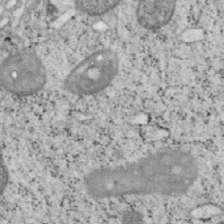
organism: Mouse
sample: OT-I killer T cells with ID8 ovarian cancer cells